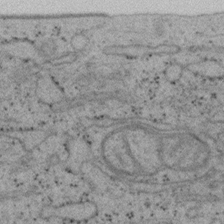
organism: Human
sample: HeLa cells